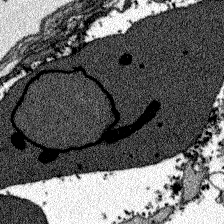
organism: Zebrafish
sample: Larval olfactory bulb